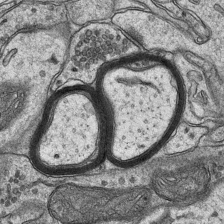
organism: Mouse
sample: CA1 Hippocampus